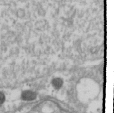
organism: Drosophila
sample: Cell division; meiosis; drosophila spermatocytes